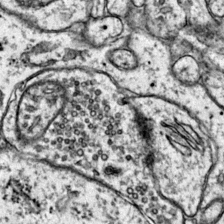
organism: Mouse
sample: Primary visual cortex